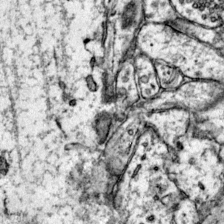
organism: Mouse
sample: Primary visual cortex